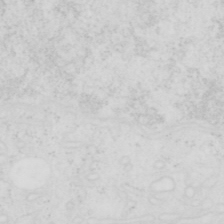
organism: Human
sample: SUM-159 cell